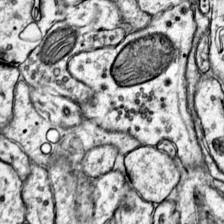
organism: Mouse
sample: Primary visual cortex